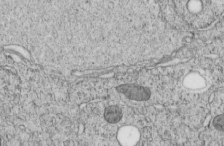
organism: C. elegans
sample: C. elegans embryo early stage